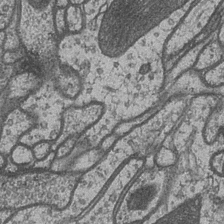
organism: Drosophila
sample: Optic medulla